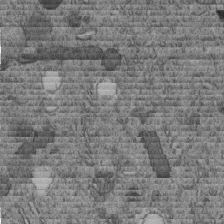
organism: C. elegans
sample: C. elegans embryo early stage